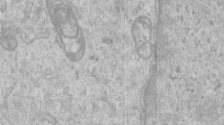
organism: Human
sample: Centriole in RPE cells